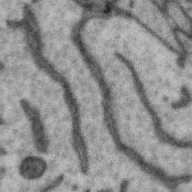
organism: Zebra finch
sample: Brain